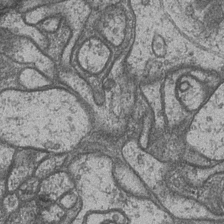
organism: Drosophila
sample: Optic medulla